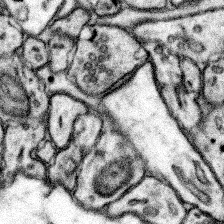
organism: Mouse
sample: Somatosensory cortex neuropil